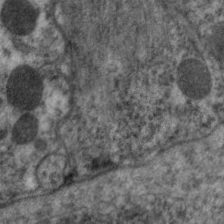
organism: C. elegans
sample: Pharynx